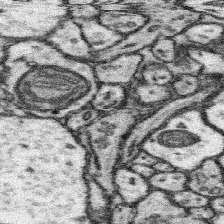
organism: Mouse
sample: Somatosensory cortex neuropil